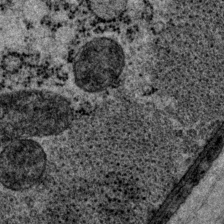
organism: P. pacificus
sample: Pharynx